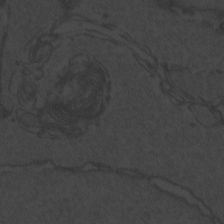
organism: Zebrafish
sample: Macrophage infected with Toxoplasma gondii